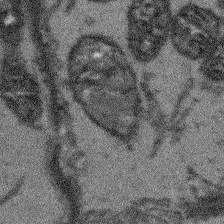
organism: Arabidopsis thaliana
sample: Root tip